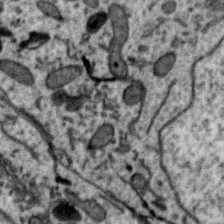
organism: Zebra finch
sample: Brain